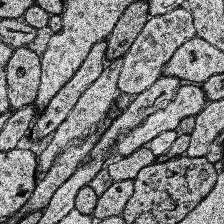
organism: Human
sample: Temporal Lobe